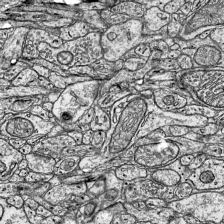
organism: Mouse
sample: Visual Cortex